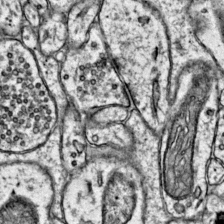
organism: Mouse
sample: Primary visual cortex